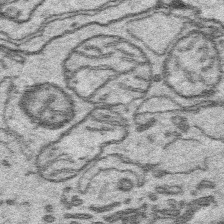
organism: Platynereis dumerilii